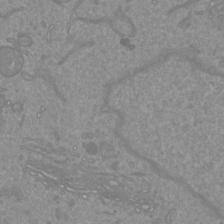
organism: Mouse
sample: Cortical neurons